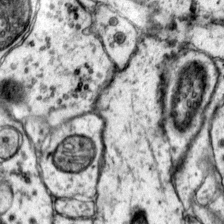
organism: Mouse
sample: Primary visual cortex